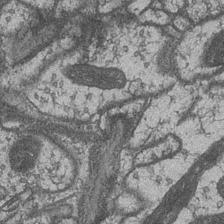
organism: Drosophila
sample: Optic medulla